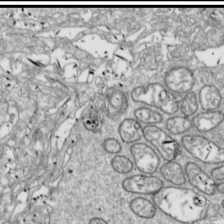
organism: Drosophila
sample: Cell division; meiosis; drosophila spermatocytes